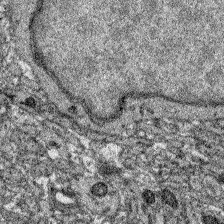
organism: Zebrafish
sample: Larval olfactory bulb